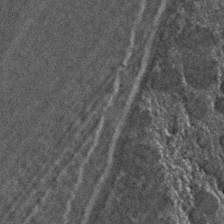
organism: C. elegans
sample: C. elegans embryo